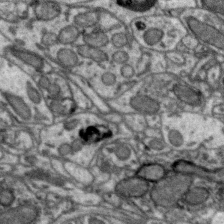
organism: Zebra finch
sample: Brain